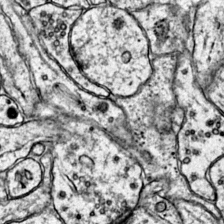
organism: Mouse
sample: Primary visual cortex